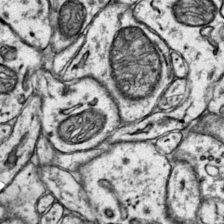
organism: Mouse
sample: Primary visual cortex